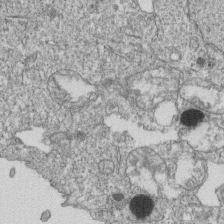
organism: Human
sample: HeLa cell HIV synapse